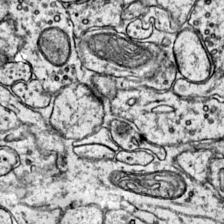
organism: Mouse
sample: Primary visual cortex